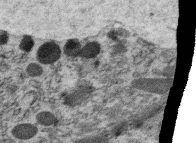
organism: C. elegans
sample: C. elegans oocyte; sperm cells